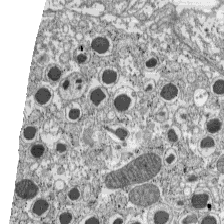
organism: C57BL Mouse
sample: Pancreatic islet